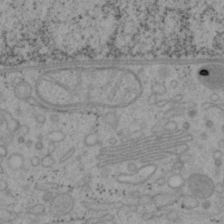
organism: Human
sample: HeLa cells